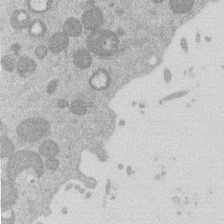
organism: Mouse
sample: Dividing mouse embryo 1 cell stage